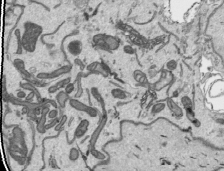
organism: Human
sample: Mitochondria in HCT116 cells